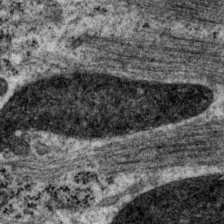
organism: P. pacificus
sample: Pharynx